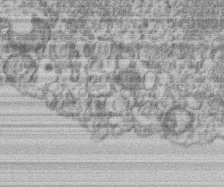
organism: Mouse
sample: T cell stromal cell synapse